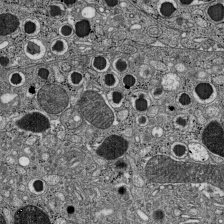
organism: C57BL Mouse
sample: Pancreatic islet